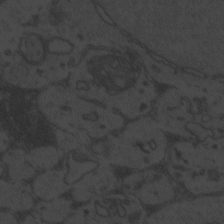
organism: Zebrafish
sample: Macrophage infected with Toxoplasma gondii